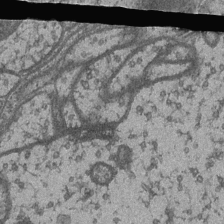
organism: Drosophila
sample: Optic medulla